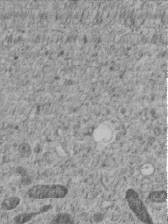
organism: C. elegans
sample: C. elegans embryo early stage